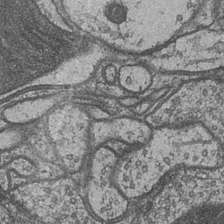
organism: Drosophila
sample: Optic medulla